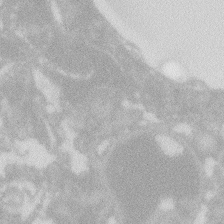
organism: Zebrafish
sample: Macrophage